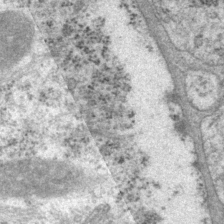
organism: P. pacificus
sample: Pharynx